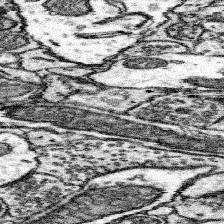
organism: Mouse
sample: Somatosensory cortex neuropil